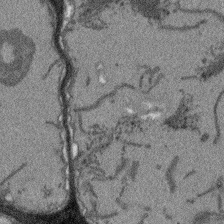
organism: Arabidopsis thaliana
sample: Root tip